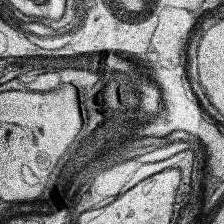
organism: Human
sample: Temporal Lobe